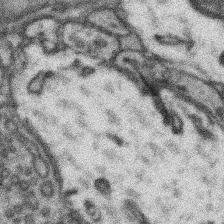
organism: Mouse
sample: Somatosensory cortex neuropil